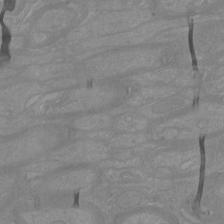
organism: Mouse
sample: Cortical neurons